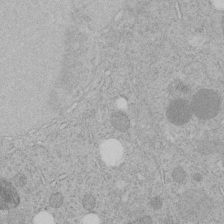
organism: C. elegans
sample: C. elegans embryo early stage